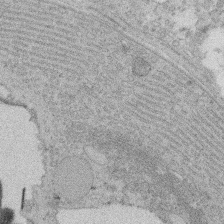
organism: Rat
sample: Salivary granule